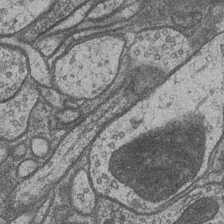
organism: Drosophila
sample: Optic medulla